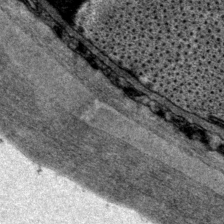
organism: P. pacificus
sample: Pharynx